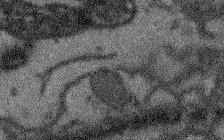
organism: Arabidopsis thaliana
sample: Root tip